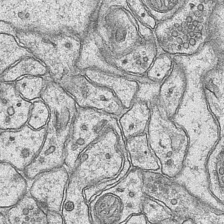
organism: Mouse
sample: CA1 Hippocampus